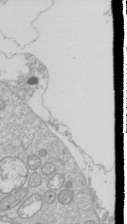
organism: Drosophila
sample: Cell division; meiosis; drosophila spermatocytes